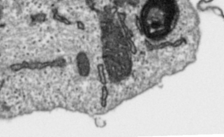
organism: Toxoplasma gondii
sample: Parasites in a vacuole inside a host cell